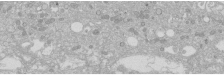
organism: Human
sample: Caco-2 cells